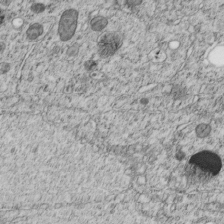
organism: C. elegans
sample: C. elegans embryo early stage